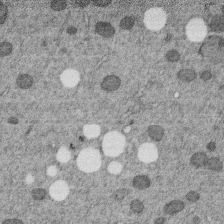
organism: C. elegans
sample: C. elegans embryo early stage